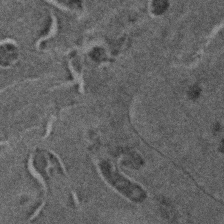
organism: C. elegans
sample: C. elegans embryo